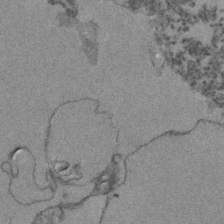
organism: Zebrafish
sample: Zebrafish embryo